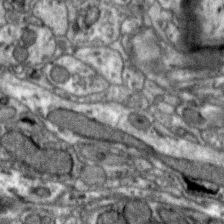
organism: Zebra finch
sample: Brain